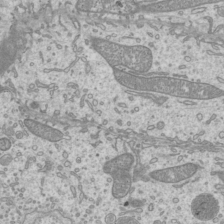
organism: Mouse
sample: Cilia; mouse epididymis